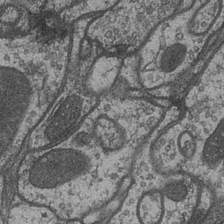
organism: Drosophila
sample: Optic medulla